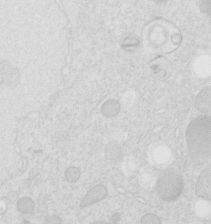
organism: C. elegans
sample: C. elegans embryo early stage